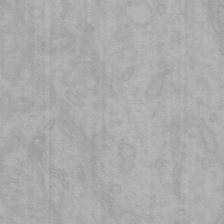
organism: Mouse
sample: Choroid plexus